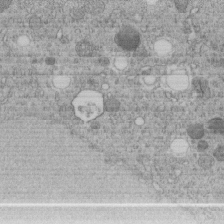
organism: C. elegans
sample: C. elegans embryo early stage